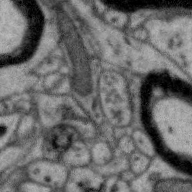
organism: Zebra finch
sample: Brain